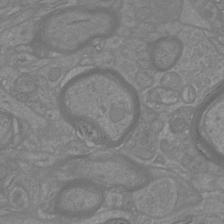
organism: Mouse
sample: Cortical neurons